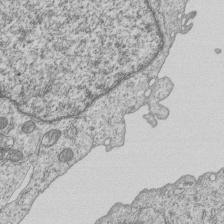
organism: Human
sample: MDA-MB-231 cells